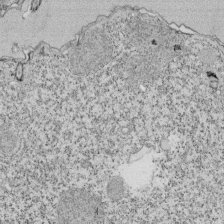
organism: Tetrahymena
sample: Cilia in tetrahymena